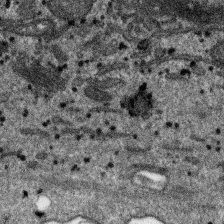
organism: Human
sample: Lung epithelial cells infected with SARS-CoV-2